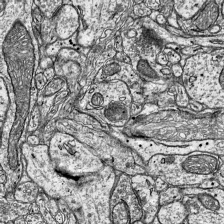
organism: Mouse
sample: Visual Cortex